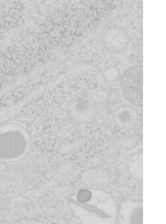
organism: Mouse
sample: Pancreas